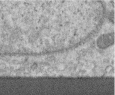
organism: Human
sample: Centriole in RPE cells